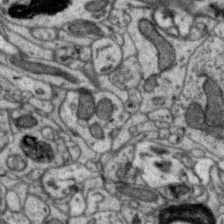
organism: Zebra finch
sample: Brain